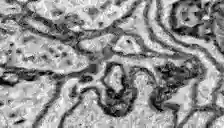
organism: Zebrafish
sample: Brain